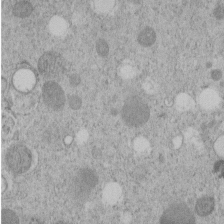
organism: C. elegans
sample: C. elegans embryo early stage